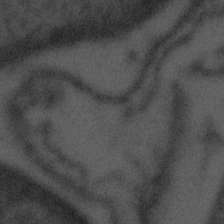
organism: Tuwongella immobilis